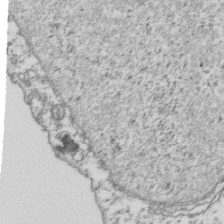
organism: Human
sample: Activated Jurkat CD4+ T cells